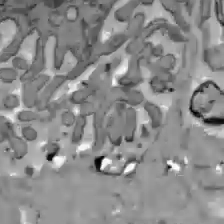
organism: C57BL Mouse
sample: Liver